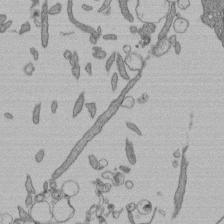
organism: Human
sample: Retinal organoid Rod and Cone cells